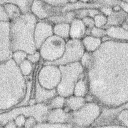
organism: Rabbit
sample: Retina